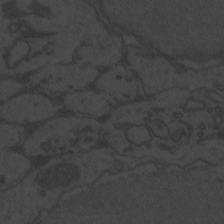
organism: Zebrafish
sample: Macrophage infected with Toxoplasma gondii